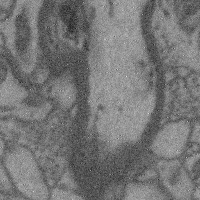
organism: Mouse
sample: Cerebral cortex